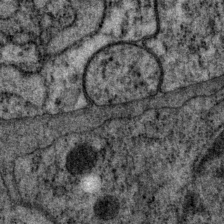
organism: P. pacificus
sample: Pharynx